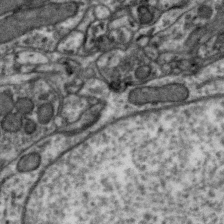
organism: Zebra finch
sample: Brain